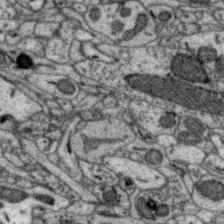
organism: Zebra finch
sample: Brain